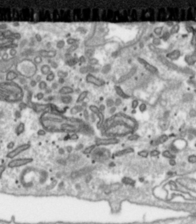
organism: Toxoplasma gondii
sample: Parasites in a vacuole inside a host cell